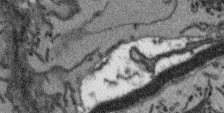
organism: Arabidopsis thaliana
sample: Root tip